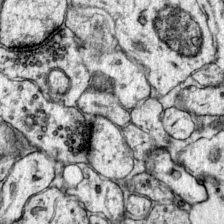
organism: Mouse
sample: Primary visual cortex